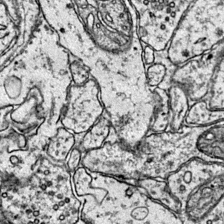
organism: Mouse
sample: Primary visual cortex